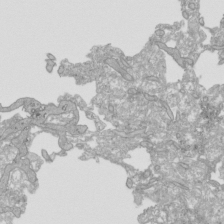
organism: Human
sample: Mitochondria in HCT116 cells